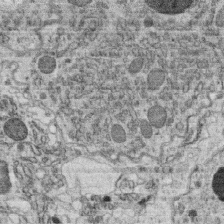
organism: C. elegans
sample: C. elegans oocyte; sperm cells